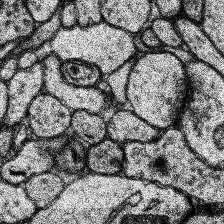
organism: Human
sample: Temporal Lobe